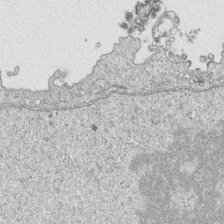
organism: Human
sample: HeLa cell HIV synapse